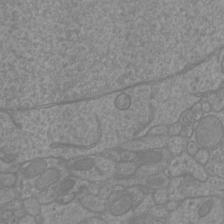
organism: Mouse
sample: Cortical neurons